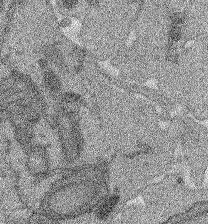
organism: Human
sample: HeLa cells